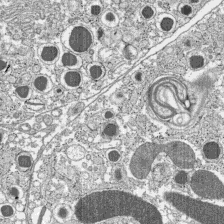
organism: C57BL Mouse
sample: Pancreatic islet